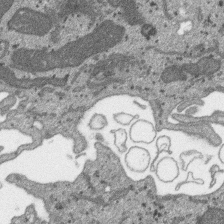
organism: Human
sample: Lung epithelial cells infected with SARS-CoV-2